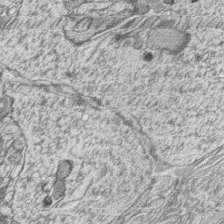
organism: Zebrafish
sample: synaptic ribbons in rod cells and cone cells